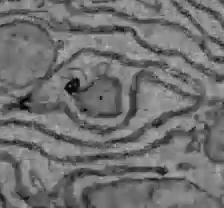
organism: C57BL Mouse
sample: Liver